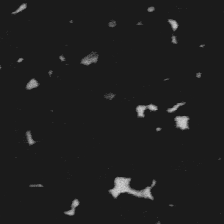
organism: Platynereis dumerilii